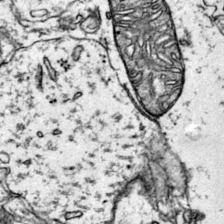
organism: Mouse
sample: Primary visual cortex